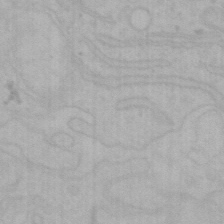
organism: Mouse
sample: Choroid plexus